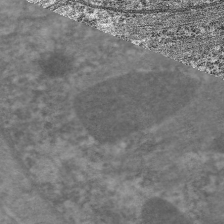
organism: C. elegans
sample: Pharynx